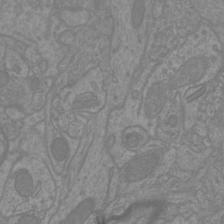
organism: Mouse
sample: Cortical neurons